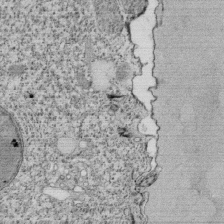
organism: Tetrahymena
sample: Cilia in tetrahymena